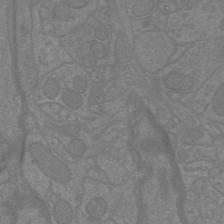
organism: Mouse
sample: Cortical neurons